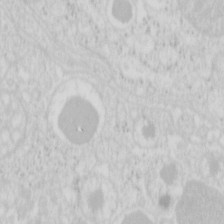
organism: Mouse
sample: Pancreas